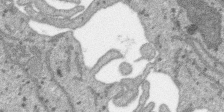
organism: Human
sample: Lung epithelial cells infected with SARS-CoV-2